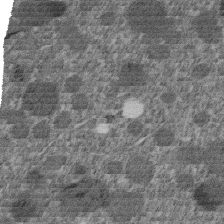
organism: C. elegans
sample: C. elegans embryo early stage